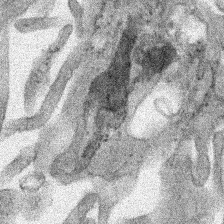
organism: Human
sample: Mitochondria in HCT116 cells